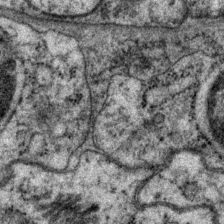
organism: P. pacificus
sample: Pharynx